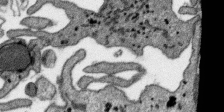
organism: Human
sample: Lung epithelial cells, uninfected (mock) control